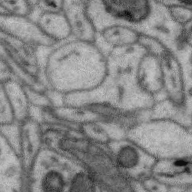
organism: Zebra finch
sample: Brain